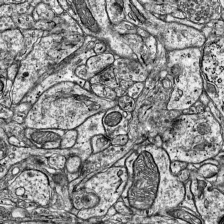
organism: Mouse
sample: Visual Cortex